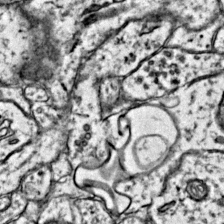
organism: Mouse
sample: Primary visual cortex